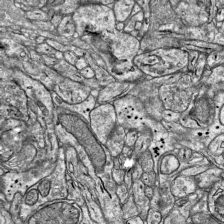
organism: Mouse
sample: Visual Cortex